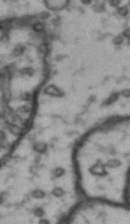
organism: Drosophila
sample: Brain